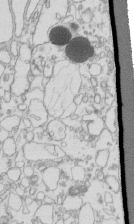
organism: Mouse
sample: Macrophages